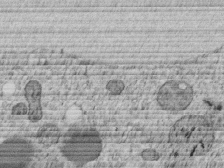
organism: C. elegans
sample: C. elegans embryo early stage